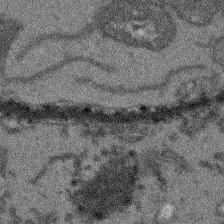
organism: Arabidopsis thaliana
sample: Root tip